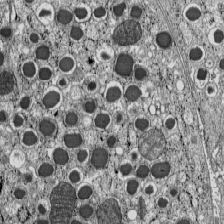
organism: C57BL Mouse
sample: Pancreatic islet